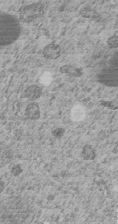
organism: C. elegans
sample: C. elegans embryo early stage